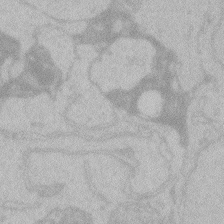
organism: Zebrafish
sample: Macrophage infected with Toxoplasma gondii